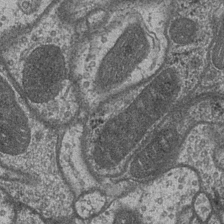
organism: Drosophila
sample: Optic medulla